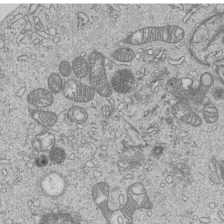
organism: Human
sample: MDA-MB-231 cells